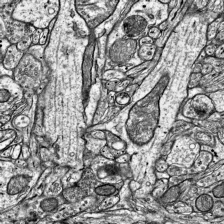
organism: Mouse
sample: Visual Cortex